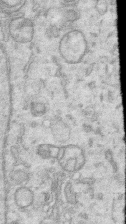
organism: Human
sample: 1205lu cells